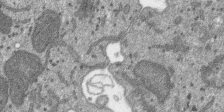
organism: Human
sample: Lung epithelial cells infected with SARS-CoV-2